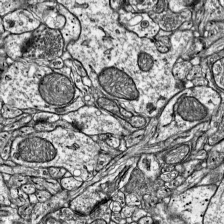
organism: Mouse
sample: Visual Cortex